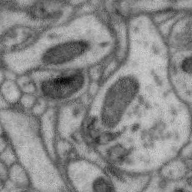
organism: Zebra finch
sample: Brain